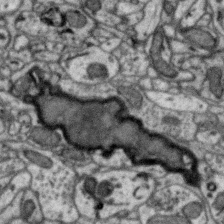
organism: Zebra finch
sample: Brain